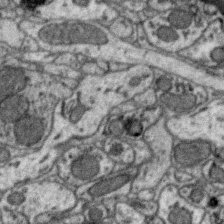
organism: Zebra finch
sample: Brain